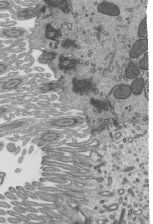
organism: Mouse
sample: Mouse epididymis efferent ductule cilia